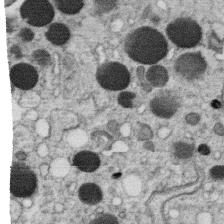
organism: C. elegans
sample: C. elegans oocyte; sperm cells